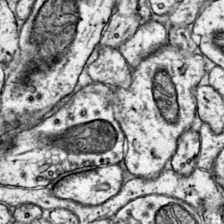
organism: Mouse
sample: Primary visual cortex